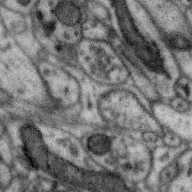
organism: Zebra finch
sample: Brain